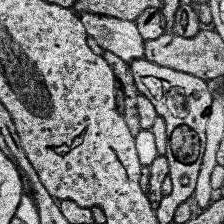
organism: Human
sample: Temporal Lobe